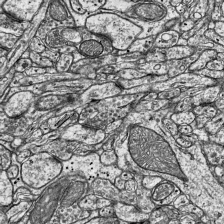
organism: Mouse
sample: Visual Cortex